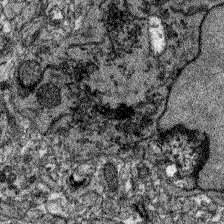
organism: Zebrafish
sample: Larval olfactory bulb